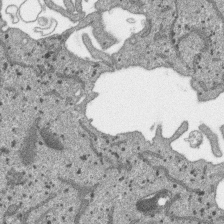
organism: Human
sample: Lung epithelial cells infected with SARS-CoV-2